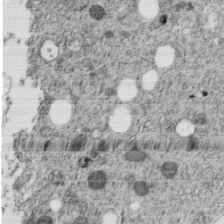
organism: C. elegans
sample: C. elegans embryo early stage